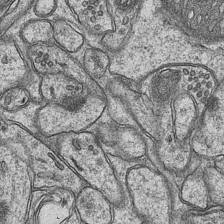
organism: Mouse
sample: CA1 Hippocampus